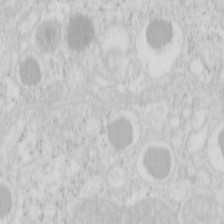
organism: Mouse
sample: Pancreas